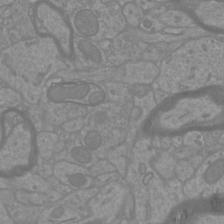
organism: Mouse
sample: Cortical neurons